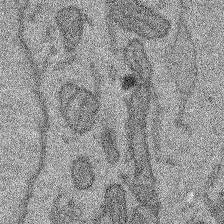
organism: Human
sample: HeLa cells